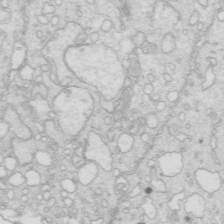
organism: Mouse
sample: Multiciliated cells